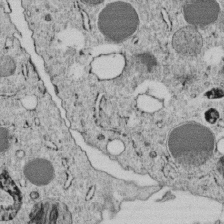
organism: C. elegans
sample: C. elegans embryo early stage